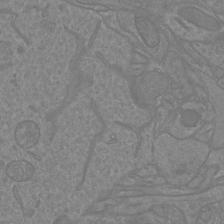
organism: Mouse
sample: Cortical neurons